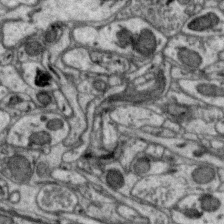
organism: Zebra finch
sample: Brain